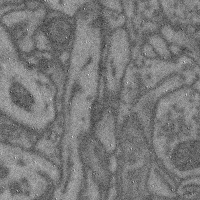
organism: Mouse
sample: Cerebral cortex